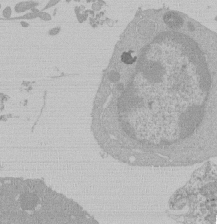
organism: Mouse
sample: Activated Pmel transgenic CD8+ T Cells